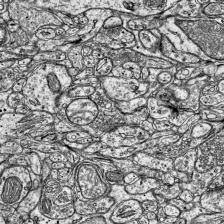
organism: Mouse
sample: Visual Cortex